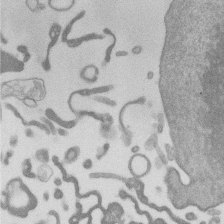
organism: Mouse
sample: Dividing mouse embryo 1 cell stage